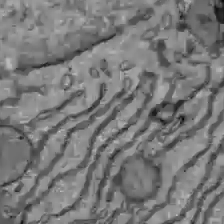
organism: C57BL Mouse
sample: Liver